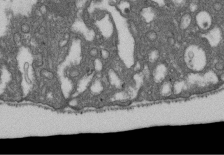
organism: Drosophila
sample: Nephrocyte